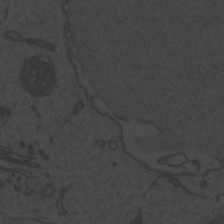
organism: Zebrafish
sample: Macrophage infected with Toxoplasma gondii